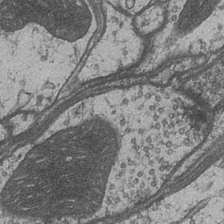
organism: Drosophila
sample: Optic medulla